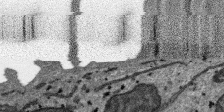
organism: Human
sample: Lung epithelial cells, uninfected (mock) control